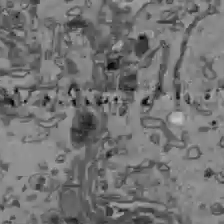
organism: C57BL Mouse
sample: Liver